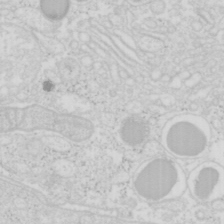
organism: Mouse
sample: Pancreas